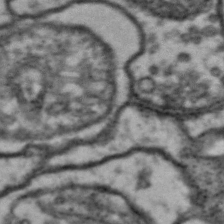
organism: Drosophila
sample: Brain